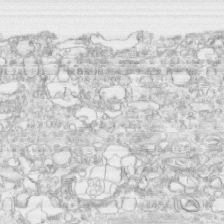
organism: Human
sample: CRL-1474